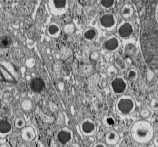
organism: C57BL Mouse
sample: Pancreatic islet